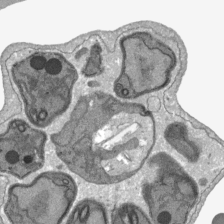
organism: Plasmodium falciparum